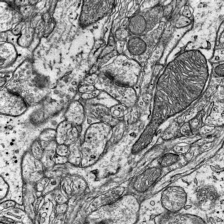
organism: Mouse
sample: Visual Cortex